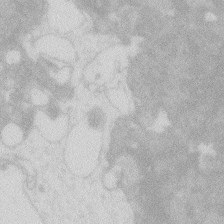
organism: Zebrafish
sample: Macrophage